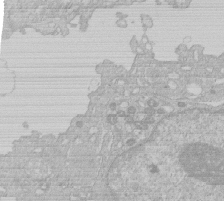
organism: Human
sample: Macrophage cells